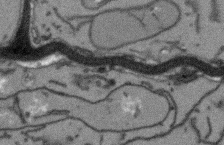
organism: Arabidopsis thaliana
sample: Root tip